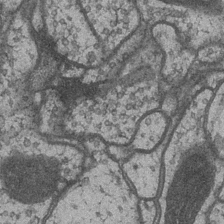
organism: Drosophila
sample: Optic medulla